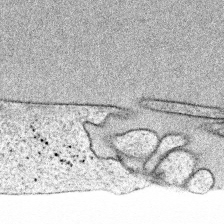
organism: Human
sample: HeLa cells